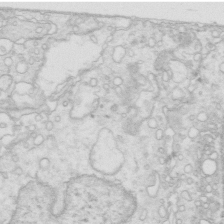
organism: Mouse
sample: Multiciliated cells